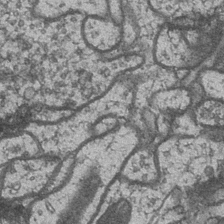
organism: Drosophila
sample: Optic medulla